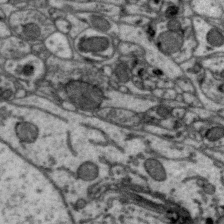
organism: Zebra finch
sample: Brain